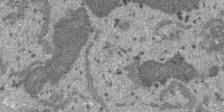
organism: Human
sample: Lung epithelial cells infected with SARS-CoV-2